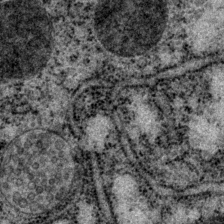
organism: P. pacificus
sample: Pharynx